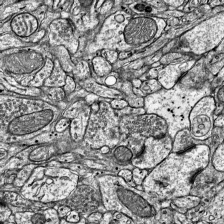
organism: Mouse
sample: Visual Cortex